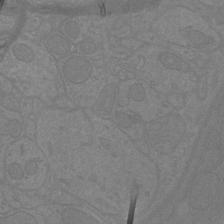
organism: Mouse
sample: Cortical neurons